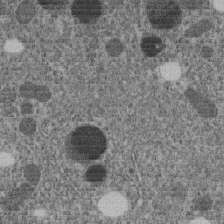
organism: C. elegans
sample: C. elegans embryo early stage